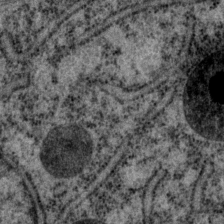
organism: P. pacificus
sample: Pharynx